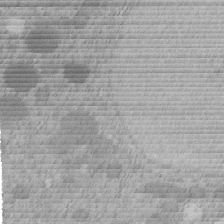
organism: C. elegans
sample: C. elegans embryo early stage